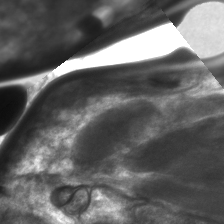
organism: C. elegans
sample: Pharynx